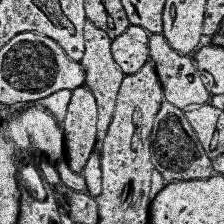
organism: Human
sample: Temporal Lobe